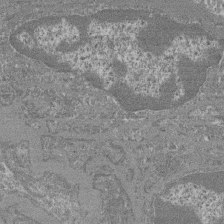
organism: Mouse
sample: Glomerulus